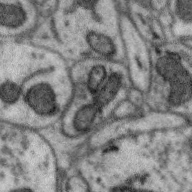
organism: Zebra finch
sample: Brain